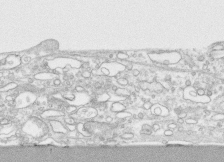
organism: Human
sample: CRL-1474